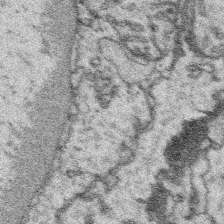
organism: Platynereis dumerilii